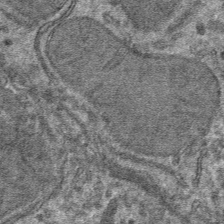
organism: Mouse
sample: Mouse hepatocytes